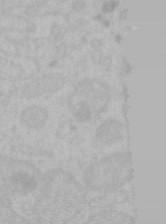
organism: Mouse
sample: Choroid plexus